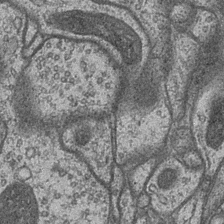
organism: Drosophila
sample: Optic medulla